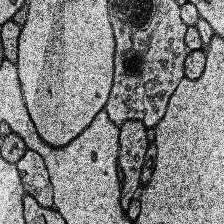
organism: Human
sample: Temporal Lobe